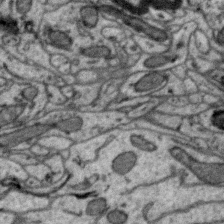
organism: Zebra finch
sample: Brain